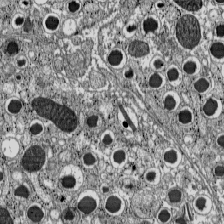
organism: C57BL Mouse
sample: Pancreatic islet